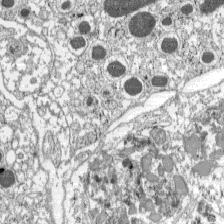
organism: C57BL Mouse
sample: Pancreatic islet